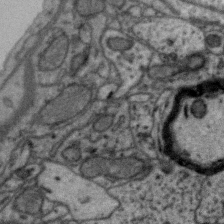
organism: Zebra finch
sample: Brain